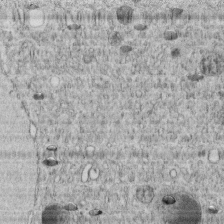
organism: C. elegans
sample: C. elegans embryo early stage